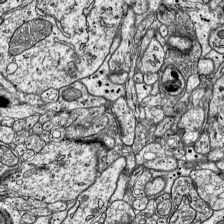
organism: Mouse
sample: Visual Cortex